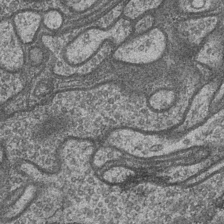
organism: Drosophila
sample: Optic medulla